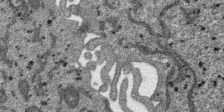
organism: Human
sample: Lung epithelial cells infected with SARS-CoV-2